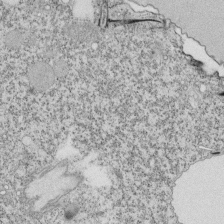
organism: Tetrahymena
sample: Cilia in tetrahymena